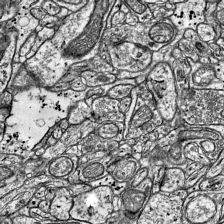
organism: Mouse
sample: Visual Cortex